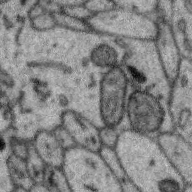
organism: Zebra finch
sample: Brain